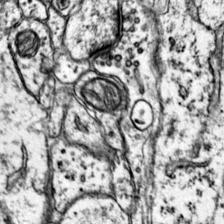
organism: Mouse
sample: Primary visual cortex